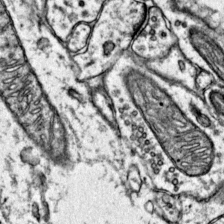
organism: Mouse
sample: Primary visual cortex